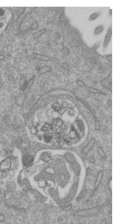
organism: Mouse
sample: ED-1 cell nuclei; centrioles